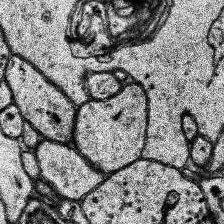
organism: Human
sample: Temporal Lobe